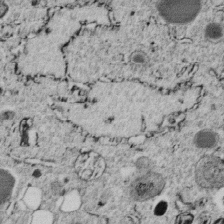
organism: C. elegans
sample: C. elegans embryo early stage